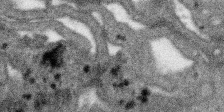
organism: Human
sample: Lung epithelial cells infected with SARS-CoV-2